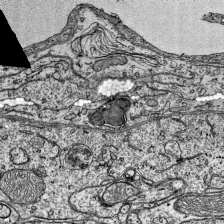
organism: Mouse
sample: Visual Cortex